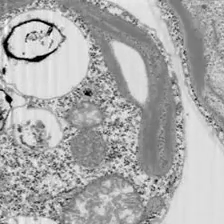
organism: Chlamydomonas reinhardtii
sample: Whole Cell